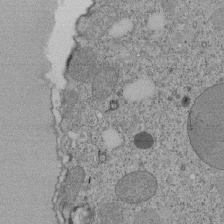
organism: Tetrahymena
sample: Cilia in tetrahymena